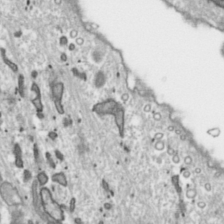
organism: Toxoplasma gondii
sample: Parasites in a vacuole inside a host cell